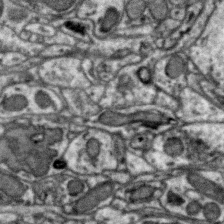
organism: Zebra finch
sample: Brain